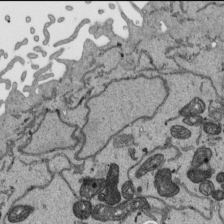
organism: Human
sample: Mitochondria in HCT116 cells